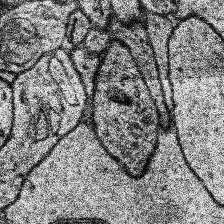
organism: Human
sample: Temporal Lobe